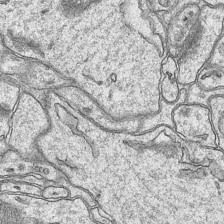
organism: Mouse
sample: CA1 Hippocampus